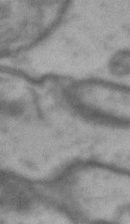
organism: Drosophila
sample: Brain